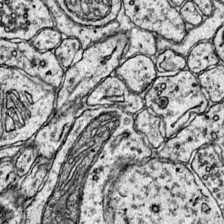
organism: Mouse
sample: Primary visual cortex